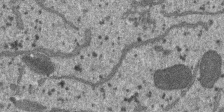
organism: Human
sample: Lung epithelial cells infected with SARS-CoV-2